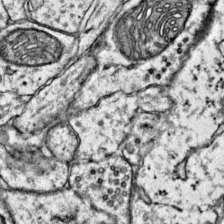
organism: Mouse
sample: Primary visual cortex